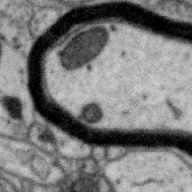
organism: Zebra finch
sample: Brain